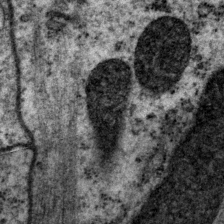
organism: P. pacificus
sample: Pharynx